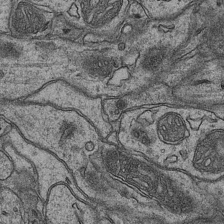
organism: Mouse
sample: CA1 Hippocampus